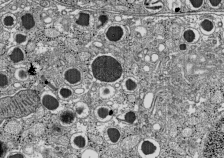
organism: C57BL Mouse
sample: Pancreatic islet